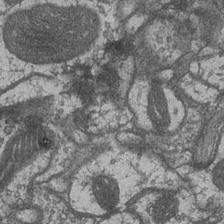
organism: Drosophila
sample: Optic medulla